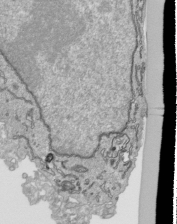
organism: Human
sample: Mitochondria in HCT116 cells